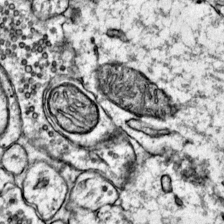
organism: Mouse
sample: Primary visual cortex